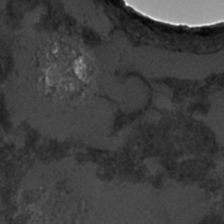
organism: C. elegans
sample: C. elegans embryo